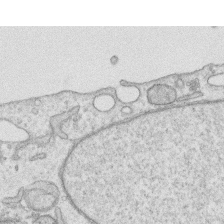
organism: Human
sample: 1205lu cells